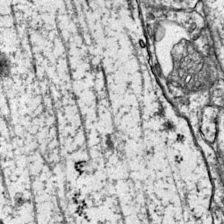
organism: Mouse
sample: Primary visual cortex